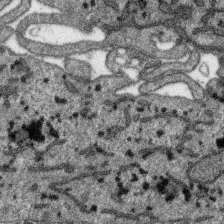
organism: Human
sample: Lung epithelial cells infected with SARS-CoV-2